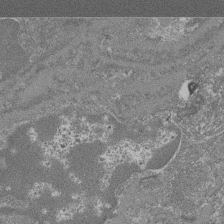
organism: Mouse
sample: Glomerulus